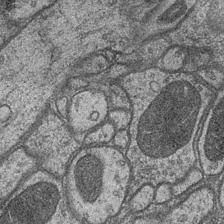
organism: Drosophila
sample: Optic medulla